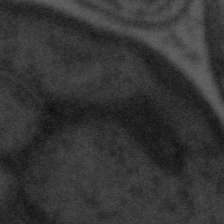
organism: Tuwongella immobilis